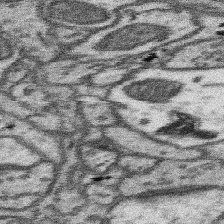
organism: Mouse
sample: Somatosensory cortex neuropil